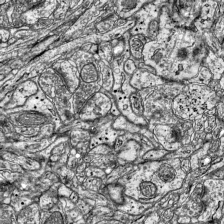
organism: Mouse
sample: Visual Cortex